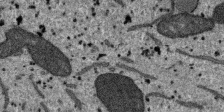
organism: Human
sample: Lung epithelial cells, uninfected (mock) control